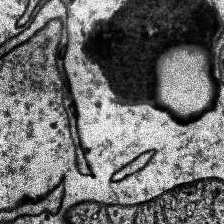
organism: Human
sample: Temporal Lobe